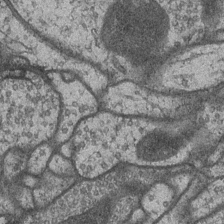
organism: Drosophila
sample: Optic medulla